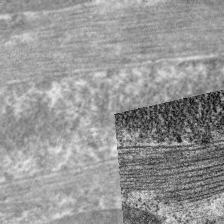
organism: C. elegans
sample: Pharynx